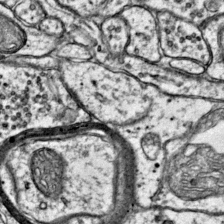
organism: Mouse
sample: Primary visual cortex